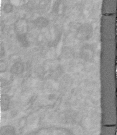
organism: Human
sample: Centriole in RPE cells